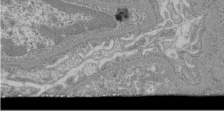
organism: Mouse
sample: Glomerulus